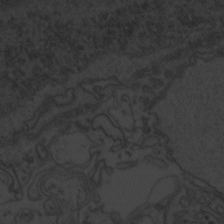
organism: Zebrafish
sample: Macrophage infected with Toxoplasma gondii